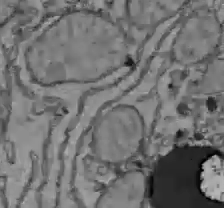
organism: C57BL Mouse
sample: Liver